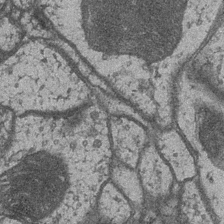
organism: Drosophila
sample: Optic medulla